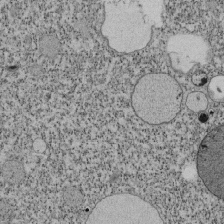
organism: Tetrahymena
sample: Cilia in tetrahymena